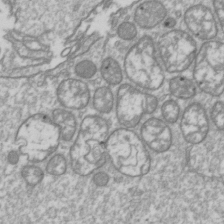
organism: Drosophila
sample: Cell division; meiosis; drosophila spermatocytes